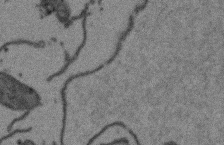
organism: Arabidopsis thaliana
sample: Root tip